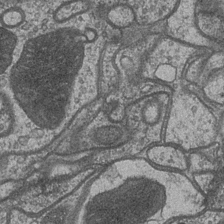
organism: Drosophila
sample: Optic medulla